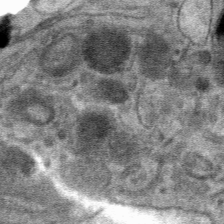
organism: Mouse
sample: Mouse hepatocytes